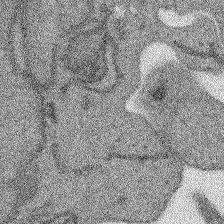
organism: Human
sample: HeLa cells